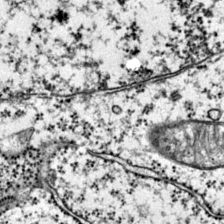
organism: Mouse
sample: Primary visual cortex